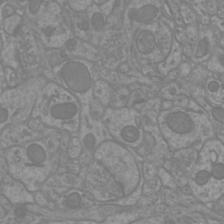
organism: Mouse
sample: Cortical neurons